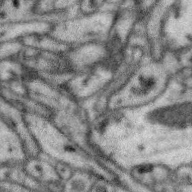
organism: Zebra finch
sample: Brain